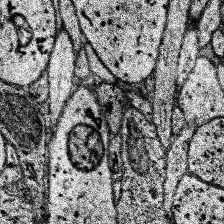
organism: Human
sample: Temporal Lobe